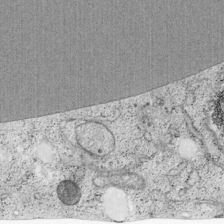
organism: African green monkey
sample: COS-7 cells